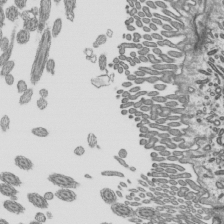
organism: Mouse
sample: Mouse epididymis efferent ductule cilia